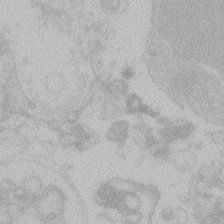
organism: Zebrafish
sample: Macrophage infected with Toxoplasma gondii